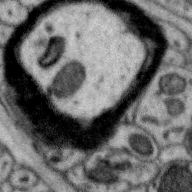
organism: Zebra finch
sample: Brain